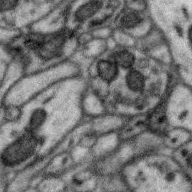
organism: Zebra finch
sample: Brain